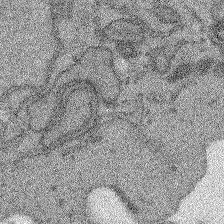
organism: Human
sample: HeLa cells